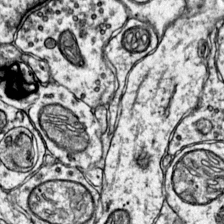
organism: Mouse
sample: Primary visual cortex